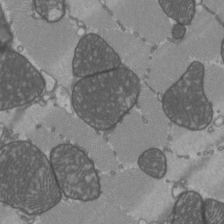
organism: C57BL Mouse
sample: Heart